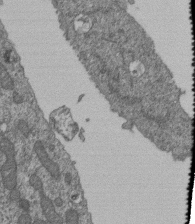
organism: Human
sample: Retinal organoid Rod and Cone cells